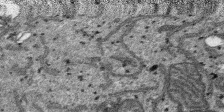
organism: Human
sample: Lung epithelial cells infected with SARS-CoV-2